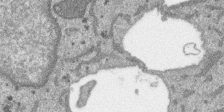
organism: Human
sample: Lung epithelial cells infected with SARS-CoV-2